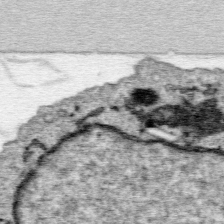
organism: Human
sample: HeLa cells